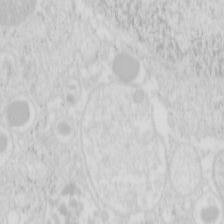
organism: Mouse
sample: Pancreas